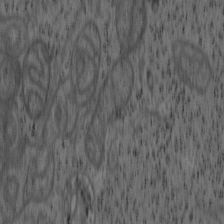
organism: Human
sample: HeLa cells